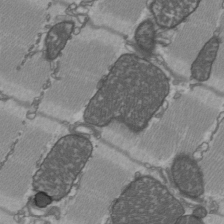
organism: C57BL Mouse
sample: Heart